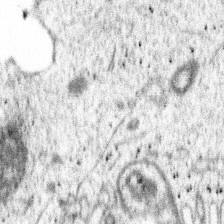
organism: Human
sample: HeLa cells